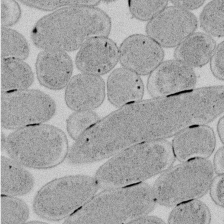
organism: E. coli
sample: Bacterial nucleoid